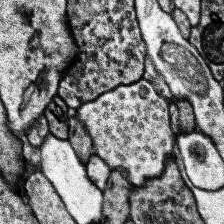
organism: Human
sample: Temporal Lobe